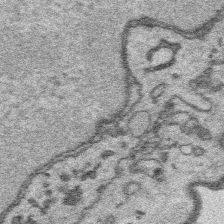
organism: Platynereis dumerilii